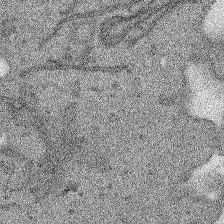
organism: Human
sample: HeLa cells